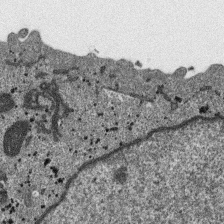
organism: Human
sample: Lung epithelial cells infected with SARS-CoV-2